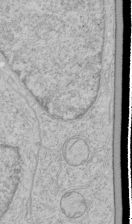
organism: Human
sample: Mitochondria in HCT116 cells